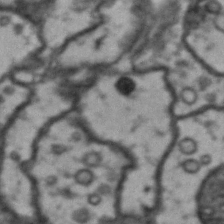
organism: Drosophila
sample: Brain